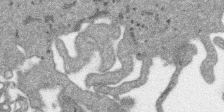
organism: Human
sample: Lung epithelial cells infected with SARS-CoV-2